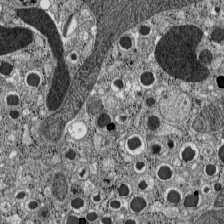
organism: C57BL Mouse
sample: Pancreatic islet